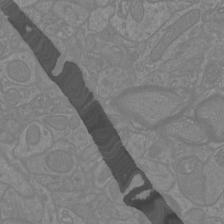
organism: Mouse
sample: Cortical neurons